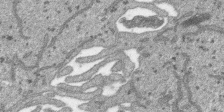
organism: Human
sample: Lung epithelial cells infected with SARS-CoV-2